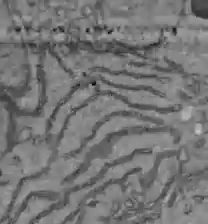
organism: C57BL Mouse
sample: Liver